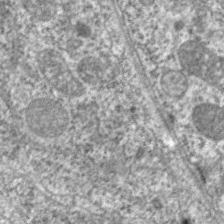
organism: C. elegans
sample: Pharynx